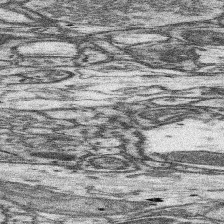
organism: Mouse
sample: Somatosensory cortex neuropil